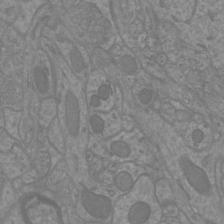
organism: Mouse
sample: Cortical neurons